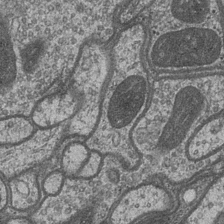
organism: Drosophila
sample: Optic medulla